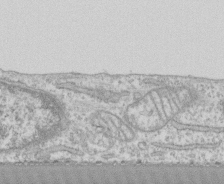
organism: Human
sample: CRL-1474